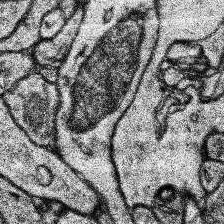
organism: Human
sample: Temporal Lobe